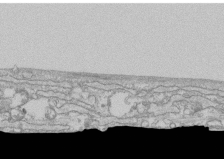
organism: Human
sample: CRL-1474